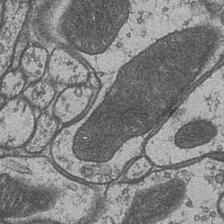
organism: Drosophila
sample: Optic medulla